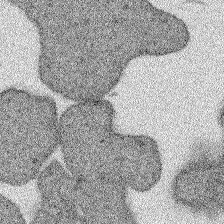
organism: Human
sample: HeLa cells